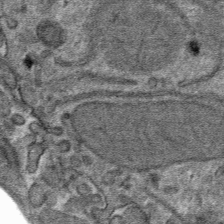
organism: Mouse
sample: Mouse hepatocytes